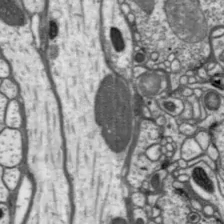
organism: Drosophila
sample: Protocerebral bridge